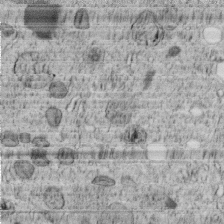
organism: C. elegans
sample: C. elegans embryo early stage